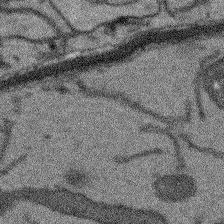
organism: Arabidopsis thaliana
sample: Root tip